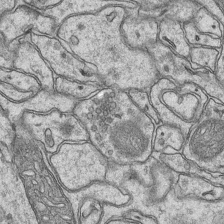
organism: Mouse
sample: CA1 Hippocampus